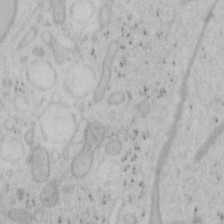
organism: Human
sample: HeLa cells